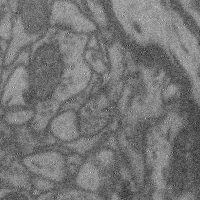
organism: Mouse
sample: Cerebral cortex